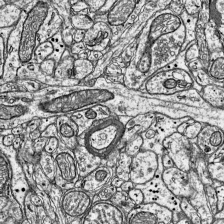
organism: Mouse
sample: Visual Cortex